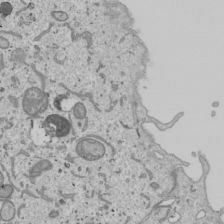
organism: Human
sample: Mitochondria in U2OS cells